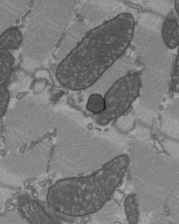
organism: C57BL Mouse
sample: Heart